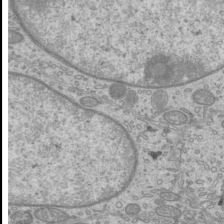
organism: Mouse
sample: Cilia; mouse epididymis